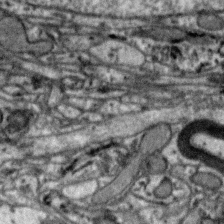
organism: Zebra finch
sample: Brain